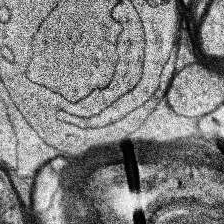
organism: Human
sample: Temporal Lobe